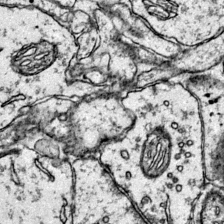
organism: Mouse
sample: Primary visual cortex